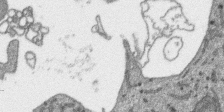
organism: Human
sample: Lung epithelial cells infected with SARS-CoV-2